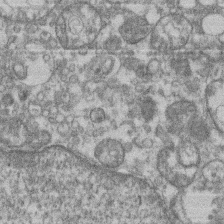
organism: Mouse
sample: T cell stromal cell synapse